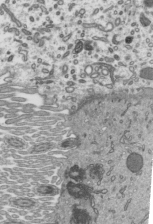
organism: Mouse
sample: Mouse epididymis efferent ductule cilia